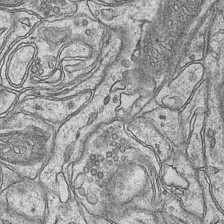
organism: Mouse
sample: CA1 Hippocampus